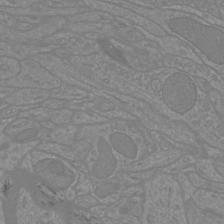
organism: Mouse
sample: Cortical neurons